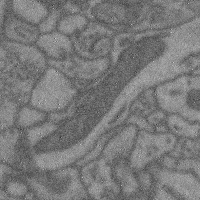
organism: Mouse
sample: Cerebral cortex